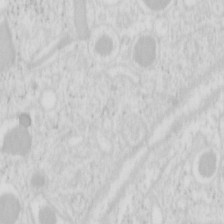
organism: Mouse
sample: Pancreas